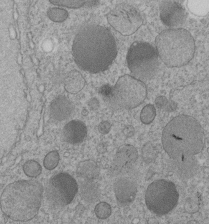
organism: C. elegans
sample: C. elegans embryo early stage